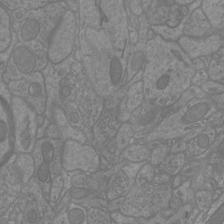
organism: Mouse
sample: Cortical neurons